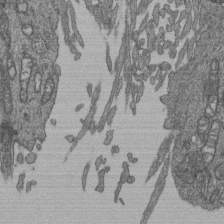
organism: Human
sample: Retinal organoid Rod and Cone cells